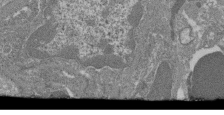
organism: Mouse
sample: Glomerulus